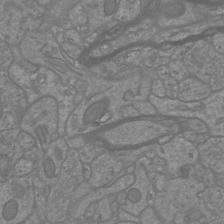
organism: Mouse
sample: Cortical neurons